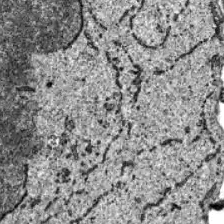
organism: Human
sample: HeLa cells